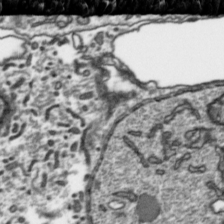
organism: Toxoplasma gondii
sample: Parasites in a vacuole inside a host cell